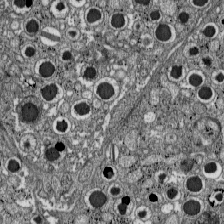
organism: C57BL Mouse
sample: Pancreatic islet